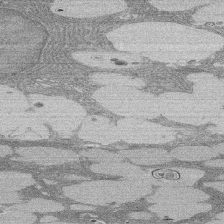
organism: Rat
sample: Salivary granule